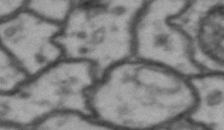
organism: Drosophila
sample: Brain